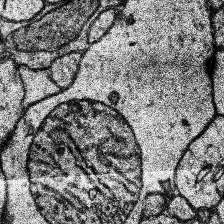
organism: Human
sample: Temporal Lobe